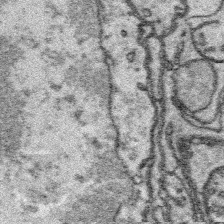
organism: Platynereis dumerilii